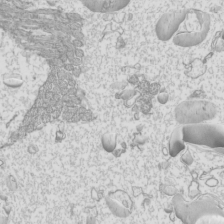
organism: Mouse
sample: Cilia; mouse epididymis